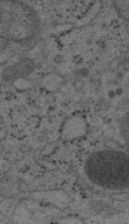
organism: Human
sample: HeLa cells